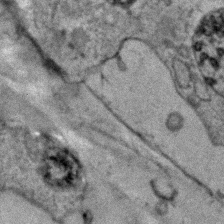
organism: Human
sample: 1205lu cells